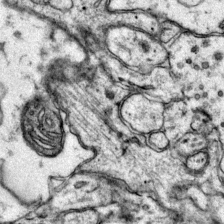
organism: Mouse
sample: Primary visual cortex